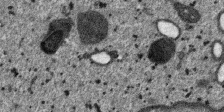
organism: Human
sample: Lung epithelial cells infected with SARS-CoV-2